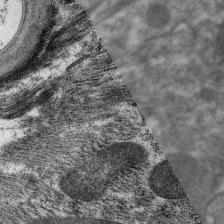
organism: C. elegans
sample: Pharynx